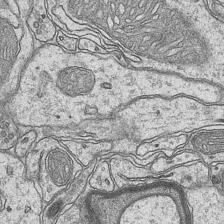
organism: Mouse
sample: CA1 Hippocampus